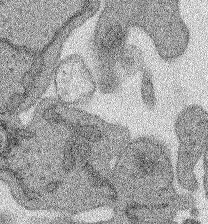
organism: Human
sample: HeLa cells